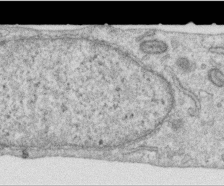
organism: Human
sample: Centriole in RPE cells